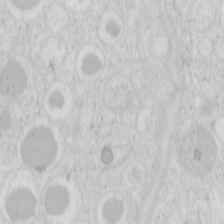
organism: Mouse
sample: Pancreas